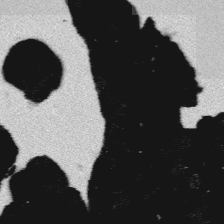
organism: Platynereis dumerilii